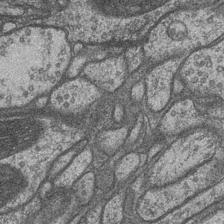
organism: Drosophila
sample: Optic medulla